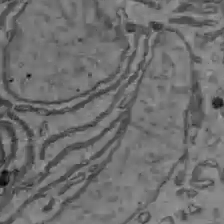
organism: C57BL Mouse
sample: Liver